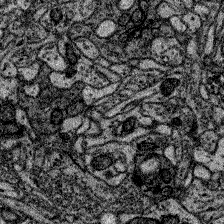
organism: Zebrafish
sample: Larval olfactory bulb